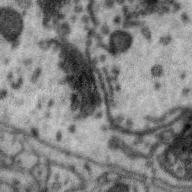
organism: Zebra finch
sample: Brain